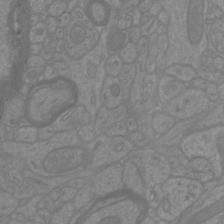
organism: Mouse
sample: Cortical neurons